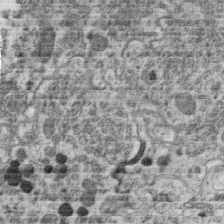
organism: C. elegans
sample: C. elegans oocyte; sperm cells